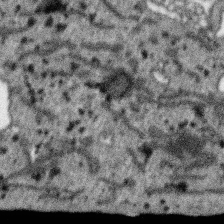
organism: Human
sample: Lung epithelial cells infected with SARS-CoV-2